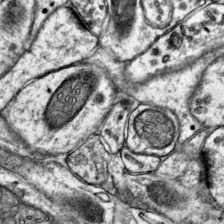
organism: Mouse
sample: Primary visual cortex